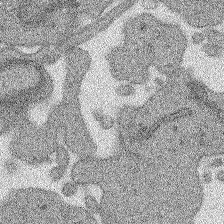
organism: Human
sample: HeLa cells